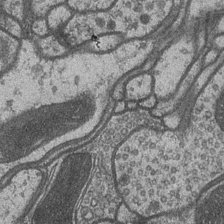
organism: Drosophila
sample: Optic medulla